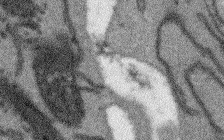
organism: Arabidopsis thaliana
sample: Root tip